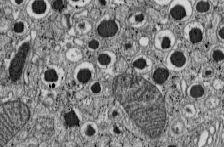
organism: C57BL Mouse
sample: Pancreatic islet